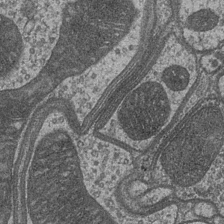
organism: Drosophila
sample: Optic medulla